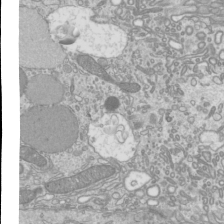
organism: Mouse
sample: Cilia; mouse epididymis